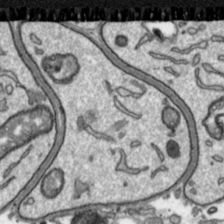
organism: Toxoplasma gondii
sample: Parasites in a vacuole inside a host cell